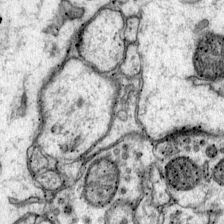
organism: Mouse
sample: Primary visual cortex